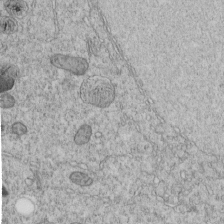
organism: C. elegans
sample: C. elegans embryo early stage